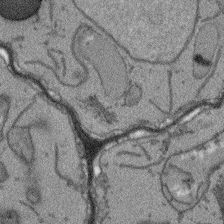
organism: Arabidopsis thaliana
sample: Root tip